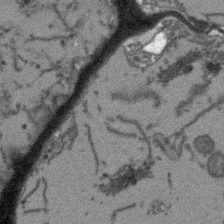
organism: Arabidopsis thaliana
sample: Root tip